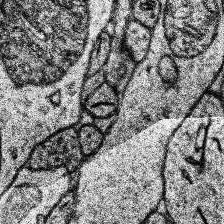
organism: Human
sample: Temporal Lobe